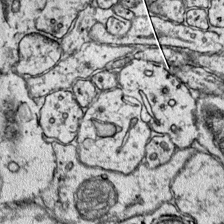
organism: Mouse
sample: Primary visual cortex